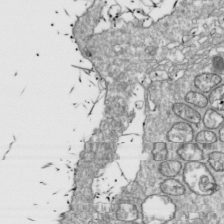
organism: Drosophila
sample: Cell division; meiosis; drosophila spermatocytes